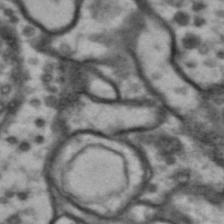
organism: Drosophila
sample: Brain